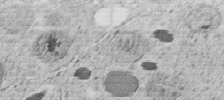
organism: C. elegans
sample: C. elegans embryo early stage